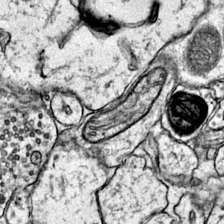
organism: Mouse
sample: Primary visual cortex